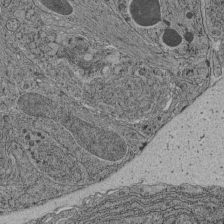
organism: C. elegans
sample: C. elegans pharynx